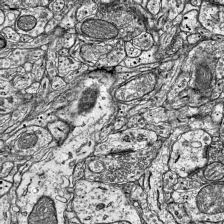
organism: Mouse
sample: Visual Cortex